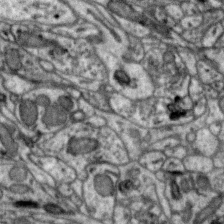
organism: Zebra finch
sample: Brain